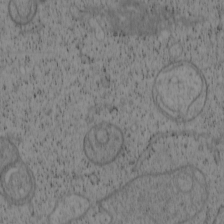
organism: African green monkey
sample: COS-7 cells